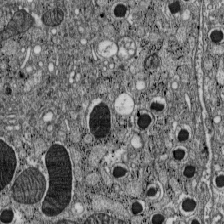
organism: C57BL Mouse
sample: Pancreatic islet